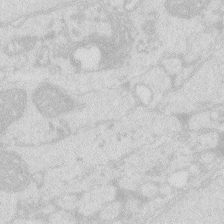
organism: Zebrafish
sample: Macrophage